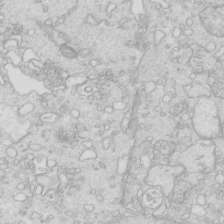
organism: Mouse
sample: Multiciliated cells